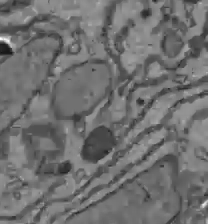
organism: C57BL Mouse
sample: Liver